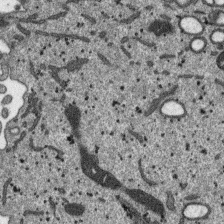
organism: Human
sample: Lung epithelial cells infected with SARS-CoV-2